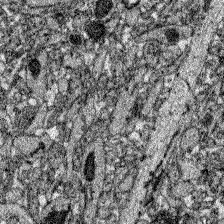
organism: Zebrafish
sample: Larval olfactory bulb